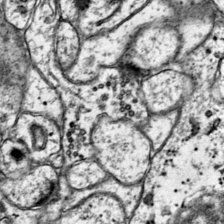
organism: Mouse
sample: Primary visual cortex